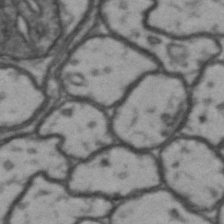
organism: Drosophila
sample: Brain